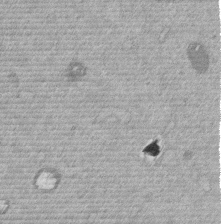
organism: Mouse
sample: Dividing mouse embryo 1 cell stage